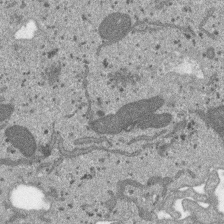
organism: Human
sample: Lung epithelial cells infected with SARS-CoV-2